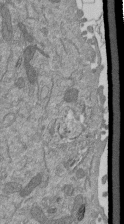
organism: Mouse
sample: ED-1 cell nuclei; centrioles